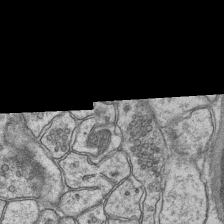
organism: Mouse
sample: CA1 Hippocampus